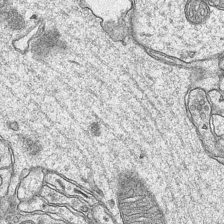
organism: Mouse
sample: CA1 Hippocampus